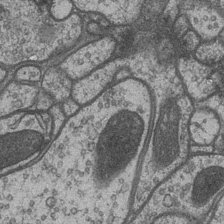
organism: Drosophila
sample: Optic medulla